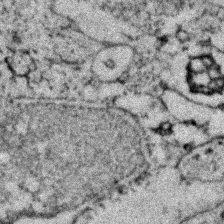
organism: Zebrafish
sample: Zebrafish embryo